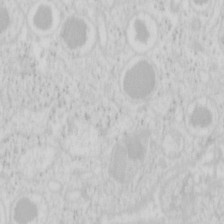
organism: Mouse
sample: Pancreas